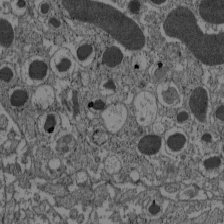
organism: C57BL Mouse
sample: Pancreatic islet